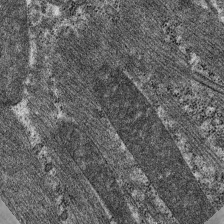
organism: C. elegans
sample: Pharynx